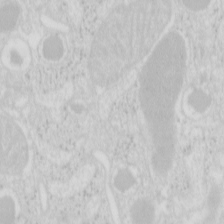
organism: Mouse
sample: Pancreas